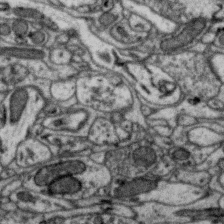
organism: Zebra finch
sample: Brain